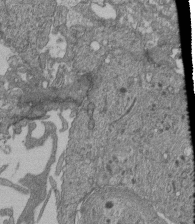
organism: Human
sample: Retinal organoid Rod and Cone cells